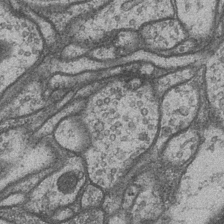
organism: Drosophila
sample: Optic medulla